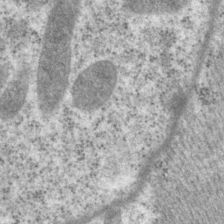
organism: P. pacificus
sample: Pharynx